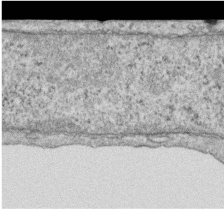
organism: Human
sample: Centriole in RPE cells